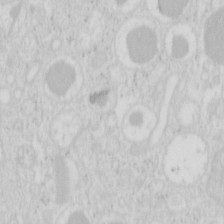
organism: Mouse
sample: Pancreas